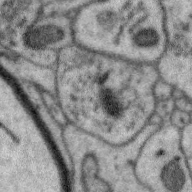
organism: Zebra finch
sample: Brain